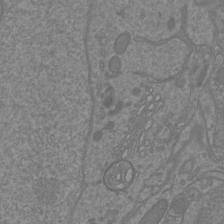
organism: Mouse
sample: Cortical neurons